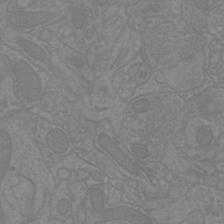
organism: Mouse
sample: Cortical neurons